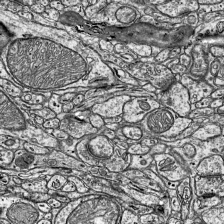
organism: Mouse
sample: Visual Cortex